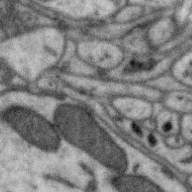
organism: Zebra finch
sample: Brain